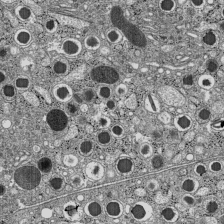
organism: C57BL Mouse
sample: Pancreatic islet